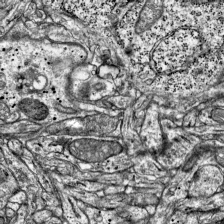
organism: Mouse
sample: Visual Cortex